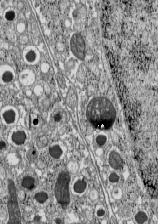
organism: C57BL Mouse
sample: Pancreatic islet